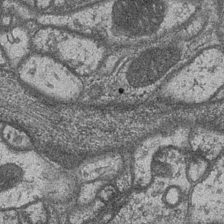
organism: Drosophila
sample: Optic medulla